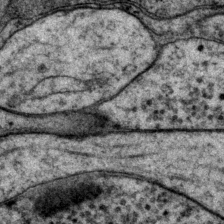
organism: P. pacificus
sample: Pharynx